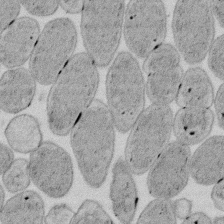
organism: E. coli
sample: Bacterial nucleoid